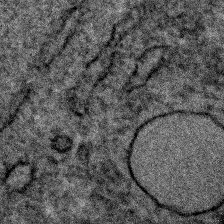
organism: C. elegans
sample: C. elegans embryo